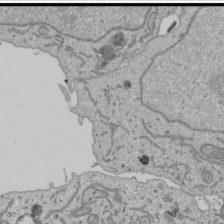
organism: Human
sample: Mitochondria in U2OS cells